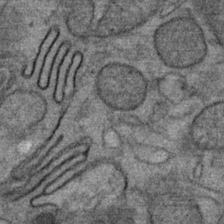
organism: Mouse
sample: Mouse Salivary gland